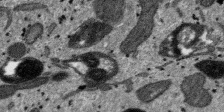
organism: Human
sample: Lung epithelial cells, uninfected (mock) control